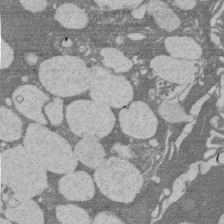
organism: Rat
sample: Salivary granule